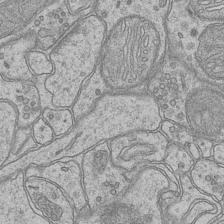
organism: Mouse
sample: CA1 Hippocampus